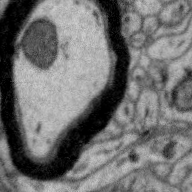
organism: Zebra finch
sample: Brain